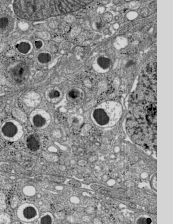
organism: C57BL Mouse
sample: Pancreatic islet